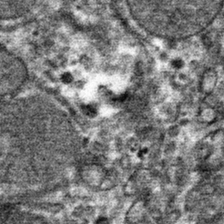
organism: Mouse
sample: Mouse hepatocytes